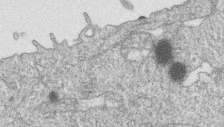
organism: Human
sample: HeLa cell HIV synapse